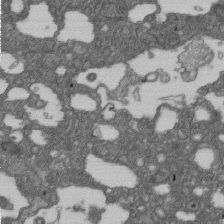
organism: Drosophila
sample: Nephrocyte